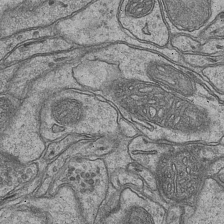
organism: Mouse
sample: CA1 Hippocampus